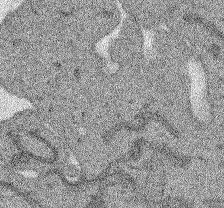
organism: Human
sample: HeLa cells